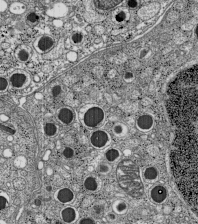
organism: C57BL Mouse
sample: Pancreatic islet